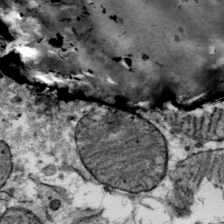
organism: Mouse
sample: Mouse Salivary gland